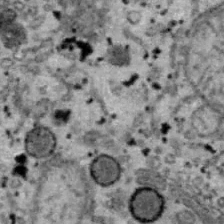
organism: Mouse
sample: Liver from an obese (ob/ob) mouse